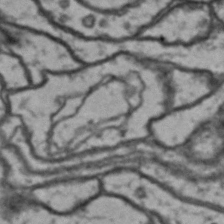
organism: Drosophila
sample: Brain